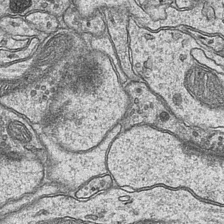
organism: Mouse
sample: CA1 Hippocampus